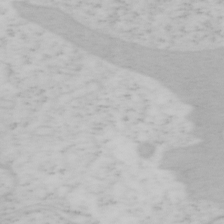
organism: Mouse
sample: OT-I killer T cells with ID8 ovarian cancer cells